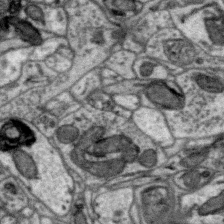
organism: Zebra finch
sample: Brain